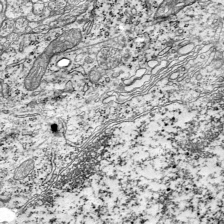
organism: Mouse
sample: Visual Cortex